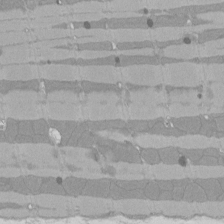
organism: Rat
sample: Left ventricle